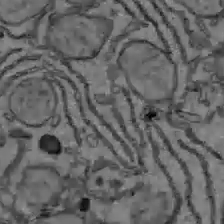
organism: C57BL Mouse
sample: Liver